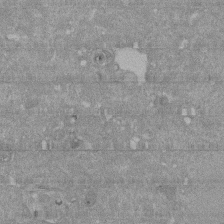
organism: Mouse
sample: ED-1 cell nuclei; centrioles